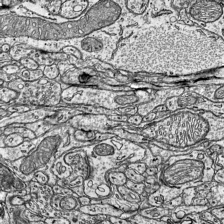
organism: Mouse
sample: Visual Cortex